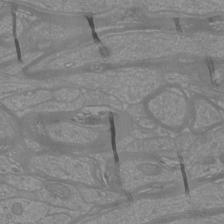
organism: Mouse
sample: Cortical neurons